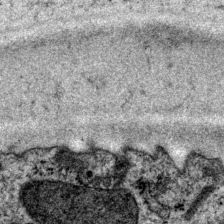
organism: P. pacificus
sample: Pharynx